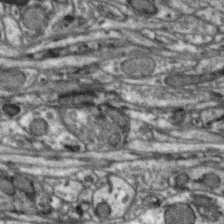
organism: Zebra finch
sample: Brain